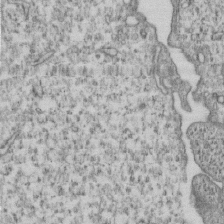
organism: Human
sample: MDA-MB-231 cells